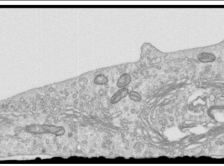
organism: Human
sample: Centriole in RPE cells